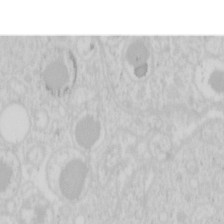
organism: Mouse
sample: Pancreas